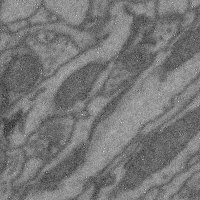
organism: Mouse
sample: Cerebral cortex